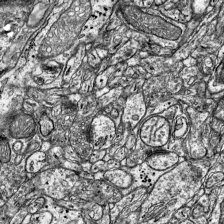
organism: Mouse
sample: Visual Cortex